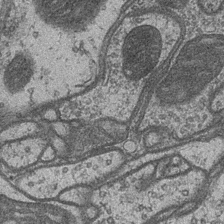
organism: Drosophila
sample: Optic medulla